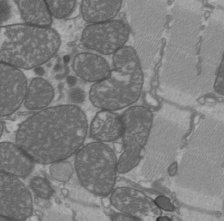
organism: C57BL Mouse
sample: Heart